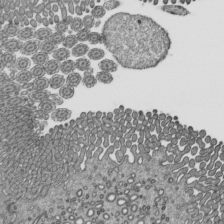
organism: Mouse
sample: Mouse epididymis efferent ductule cilia